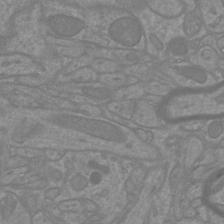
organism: Mouse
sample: Cortical neurons